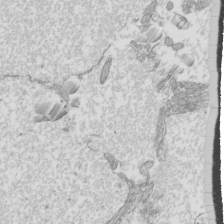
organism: Mouse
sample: Cilia; mouse epididymis